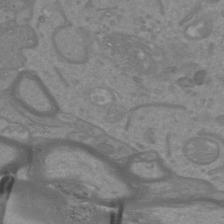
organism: Mouse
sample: Cortical neurons